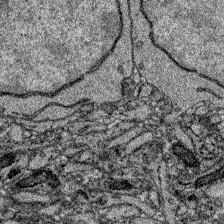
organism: Zebrafish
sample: Larval olfactory bulb